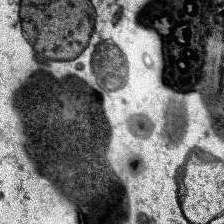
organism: Human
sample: Temporal Lobe